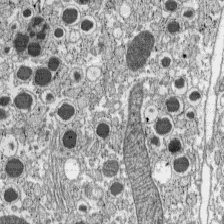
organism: C57BL Mouse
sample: Pancreatic islet